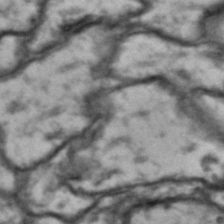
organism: Drosophila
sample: Brain